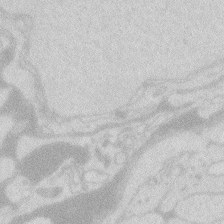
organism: Zebrafish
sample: Macrophage